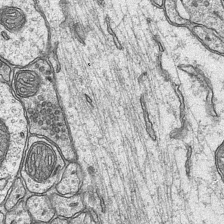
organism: Mouse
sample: CA1 Hippocampus